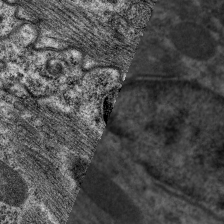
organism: C. elegans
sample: Pharynx